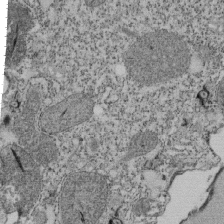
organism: Tetrahymena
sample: Cilia in tetrahymena